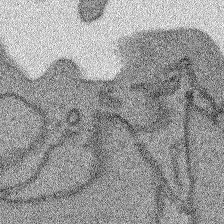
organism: Human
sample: HeLa cells